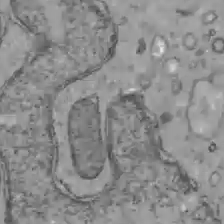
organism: C57BL Mouse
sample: Liver